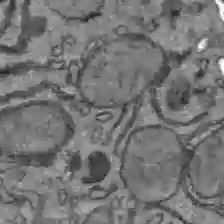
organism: C57BL Mouse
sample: Liver